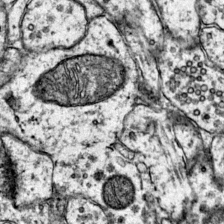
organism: Mouse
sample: Primary visual cortex